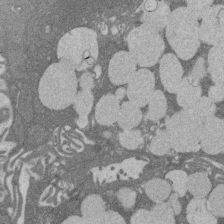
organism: Rat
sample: Salivary granule